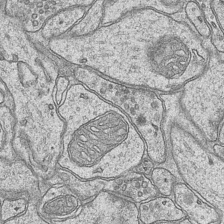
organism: Mouse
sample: CA1 Hippocampus